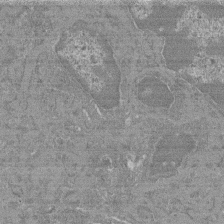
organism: Mouse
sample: Glomerulus